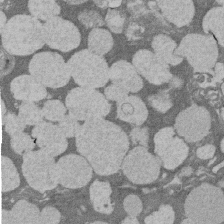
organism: Rat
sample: Salivary granule